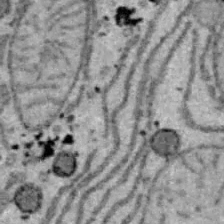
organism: Mouse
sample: Liver from an obese (ob/ob) mouse